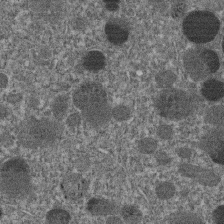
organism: C. elegans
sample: C. elegans embryo early stage